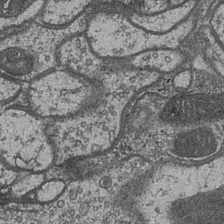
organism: Drosophila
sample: Optic medulla